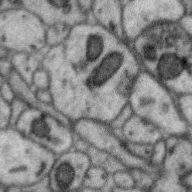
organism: Zebra finch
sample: Brain